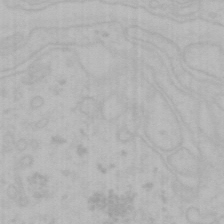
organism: Mouse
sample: Choroid plexus